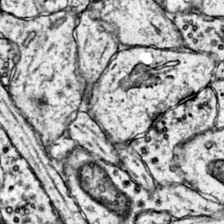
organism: Mouse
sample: Primary visual cortex